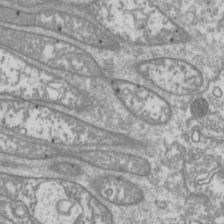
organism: Drosophila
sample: Cell division; meiosis; drosophila spermatocytes